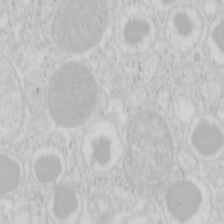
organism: Mouse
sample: Pancreas